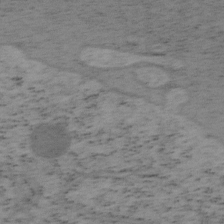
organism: Mouse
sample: OT-I killer T cells with ID8 ovarian cancer cells